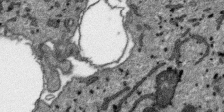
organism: Human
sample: Lung epithelial cells, uninfected (mock) control